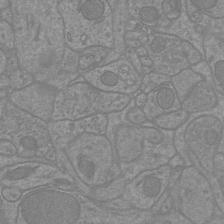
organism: Mouse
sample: Cortical neurons